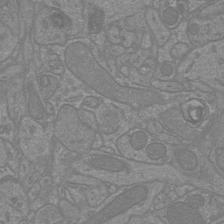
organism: Mouse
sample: Cortical neurons